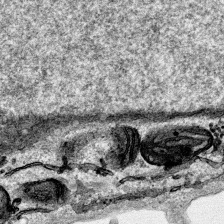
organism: Human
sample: Mitochondria in HCT116 cells